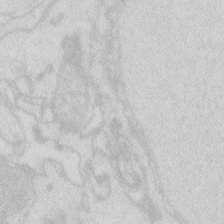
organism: Zebrafish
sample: Macrophage